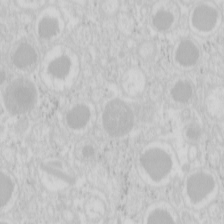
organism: Mouse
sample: Pancreas